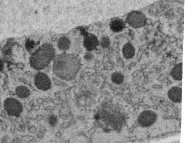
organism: C. elegans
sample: C. elegans oocyte; sperm cells